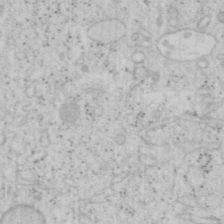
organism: Human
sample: HeLa cells